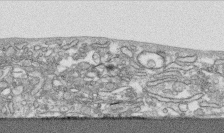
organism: Human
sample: CRL-1474